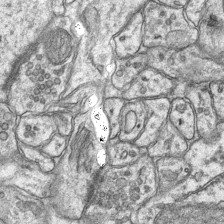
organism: Mouse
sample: CA1 Hippocampus